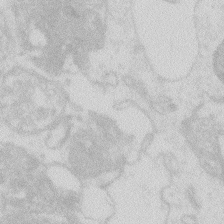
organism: Zebrafish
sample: Macrophage